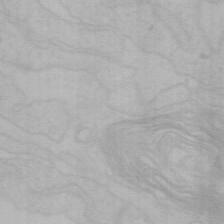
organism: Mouse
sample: Choroid plexus